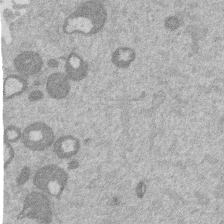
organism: Mouse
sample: Dividing mouse embryo 1 cell stage